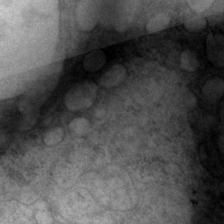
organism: P. pacificus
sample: Pharynx